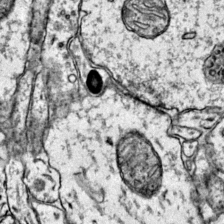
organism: Mouse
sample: Primary visual cortex